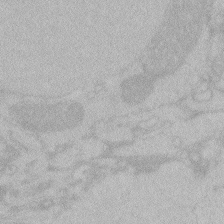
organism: Zebrafish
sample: Macrophage infected with Toxoplasma gondii